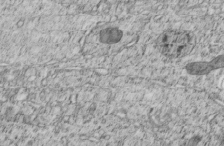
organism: C. elegans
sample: C. elegans embryo early stage